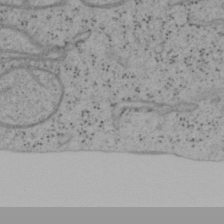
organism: Human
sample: HeLa cells